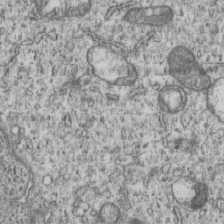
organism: Human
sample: MDA-MB-231 cells